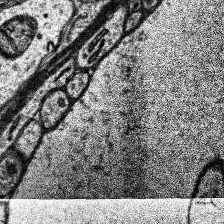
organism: Human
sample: Temporal Lobe